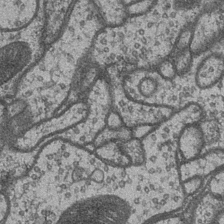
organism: Drosophila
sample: Optic medulla